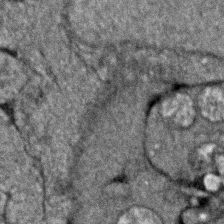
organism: Zebrafish